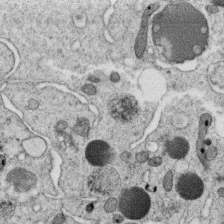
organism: C. elegans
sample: C. elegans oocyte; sperm cells